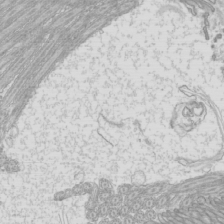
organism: Mouse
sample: Cilia; mouse epididymis